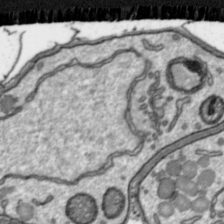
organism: Toxoplasma gondii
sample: Parasites in a vacuole inside a host cell